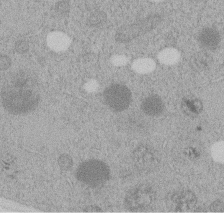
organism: C. elegans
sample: C. elegans embryo early stage